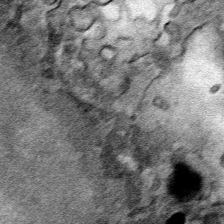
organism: Human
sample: Mitochondria in HCT116 cells